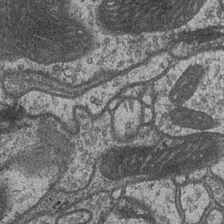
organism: Drosophila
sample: Optic medulla